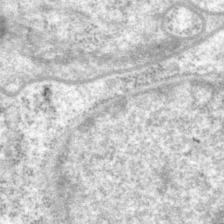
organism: P. pacificus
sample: Pharynx